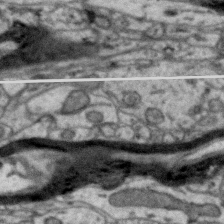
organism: Zebra finch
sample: Brain